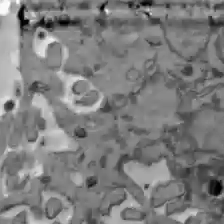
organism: C57BL Mouse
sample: Liver